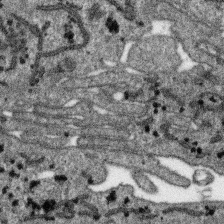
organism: Human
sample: Lung epithelial cells infected with SARS-CoV-2